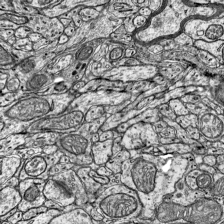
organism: Mouse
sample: Visual Cortex